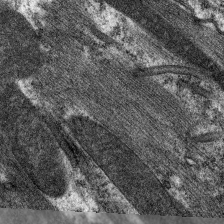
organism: C. elegans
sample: Pharynx